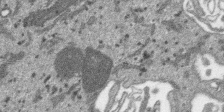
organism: Human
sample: Lung epithelial cells infected with SARS-CoV-2